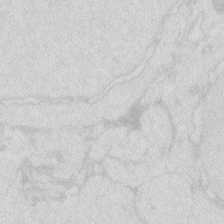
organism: Zebrafish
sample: Macrophage